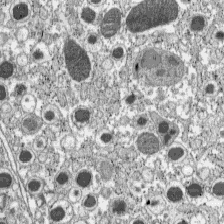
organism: C57BL Mouse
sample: Pancreatic islet